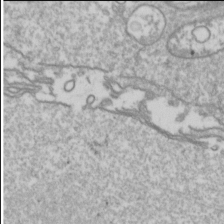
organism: Drosophila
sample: Cell division; meiosis; drosophila spermatocytes